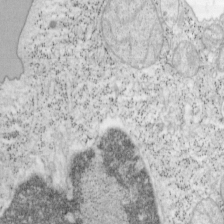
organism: Mouse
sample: OT-I killer T cells with ID8 ovarian cancer cells